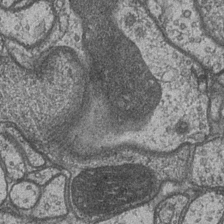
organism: Drosophila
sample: Optic medulla